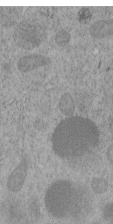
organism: C. elegans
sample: C. elegans embryo early stage